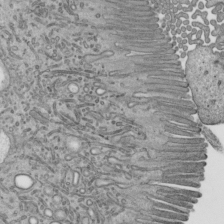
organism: Mouse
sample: Mouse epididymis efferent ductule cilia